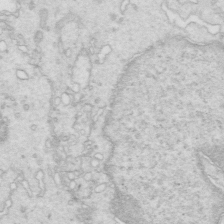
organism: Mouse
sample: Multiciliated cells